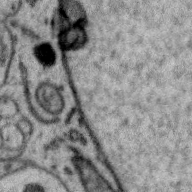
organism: Zebra finch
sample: Brain